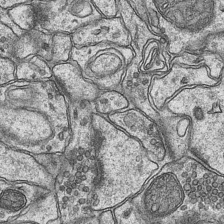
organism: Mouse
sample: CA1 Hippocampus